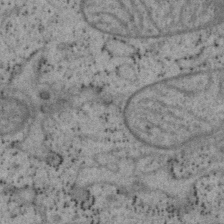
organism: Human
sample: HeLa cells